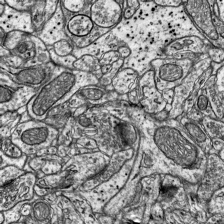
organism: Mouse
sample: Visual Cortex